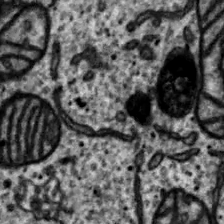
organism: Human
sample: HeLa cells